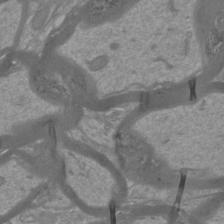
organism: Mouse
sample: Cortical neurons